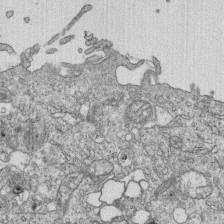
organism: Human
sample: HeLa cell HIV synapse